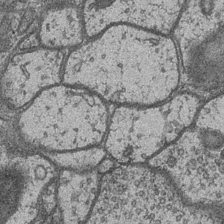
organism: Drosophila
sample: Optic medulla